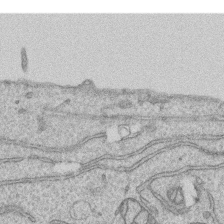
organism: Human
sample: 1205lu cells